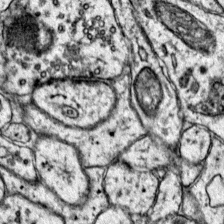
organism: Mouse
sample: Primary visual cortex